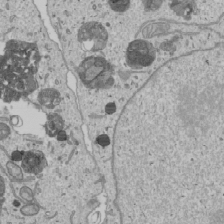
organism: Human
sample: Mitochondria in U2OS cells